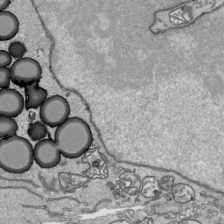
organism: Human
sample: Mitochondria in HCT116 cells